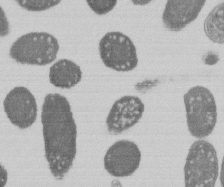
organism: E. coli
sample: Bacterial nucleoid